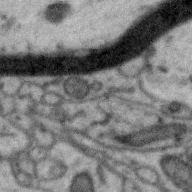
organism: Zebra finch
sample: Brain